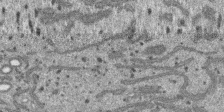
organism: Human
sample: Lung epithelial cells infected with SARS-CoV-2